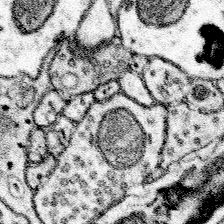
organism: Mouse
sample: Somatosensory cortex neuropil